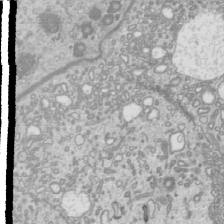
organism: Mouse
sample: Cilia; mouse epididymis